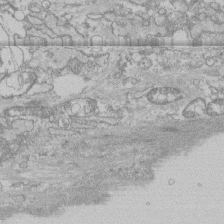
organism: Human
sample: CRL-1474